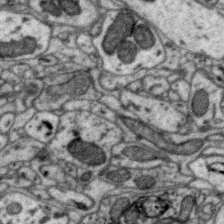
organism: Zebra finch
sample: Brain